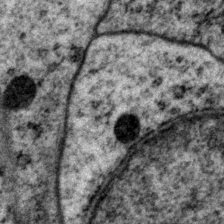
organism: P. pacificus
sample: Pharynx